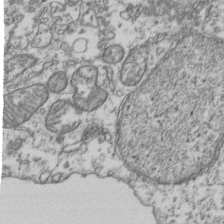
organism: Human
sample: Activated Jurkat CD4+ T cells